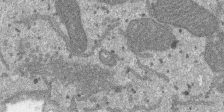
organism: Human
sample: Lung epithelial cells infected with SARS-CoV-2